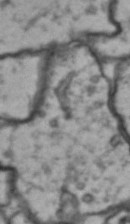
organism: Drosophila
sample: Brain